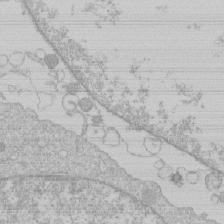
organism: Human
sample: Macrophage cells